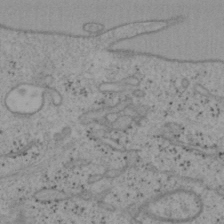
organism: Human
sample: HeLa cells